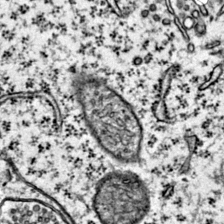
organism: Mouse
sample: Primary visual cortex